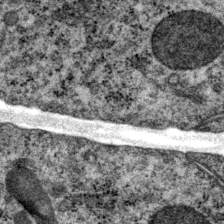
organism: P. pacificus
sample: Pharynx